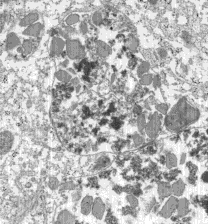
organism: C57BL Mouse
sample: Pancreatic islet